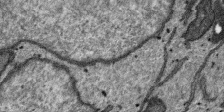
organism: Human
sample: Lung epithelial cells, uninfected (mock) control